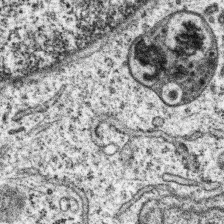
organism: Human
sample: HeLa cells